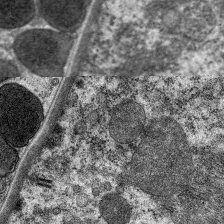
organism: C. elegans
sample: Pharynx